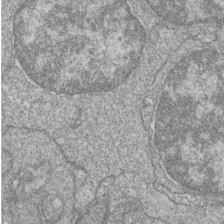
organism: Zebrafish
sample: Cilia; retinal pigment epithelium